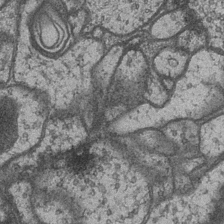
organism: Drosophila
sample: Optic medulla